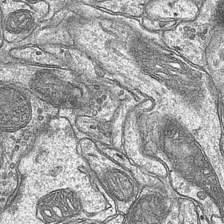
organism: Mouse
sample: CA1 Hippocampus